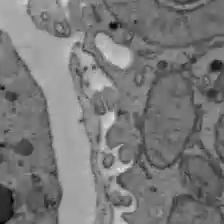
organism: C57BL Mouse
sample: Liver